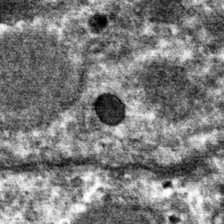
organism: Mouse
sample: Mouse hepatocytes